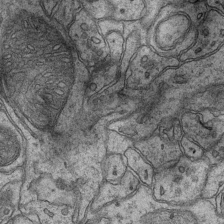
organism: Mouse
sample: CA1 Hippocampus